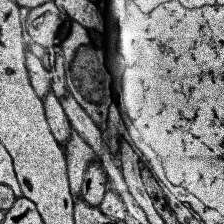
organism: Human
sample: Temporal Lobe